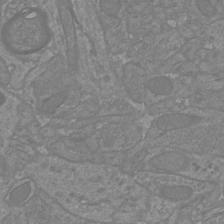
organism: Mouse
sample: Cortical neurons